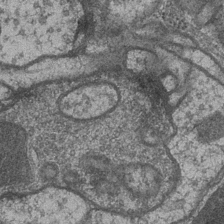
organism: Drosophila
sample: Optic medulla